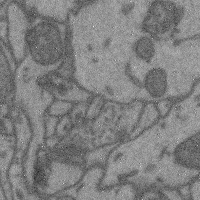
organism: Mouse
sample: Cerebral cortex